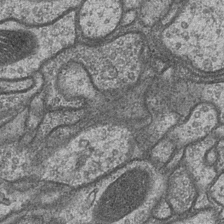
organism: Drosophila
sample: Optic medulla